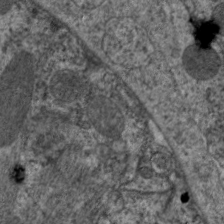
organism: C. elegans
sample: Pharynx